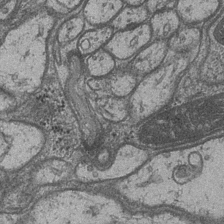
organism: Drosophila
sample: Optic medulla